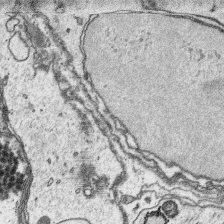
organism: Platynereis dumerilii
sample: Parapodia